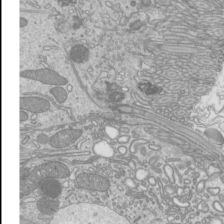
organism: Mouse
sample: Cilia; mouse epididymis